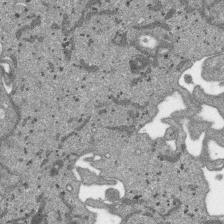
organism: Human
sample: Lung epithelial cells infected with SARS-CoV-2